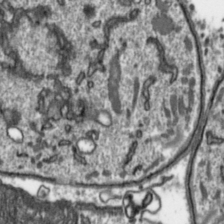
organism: Toxoplasma gondii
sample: Parasites in a vacuole inside a host cell